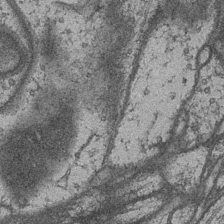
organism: Drosophila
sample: Optic medulla